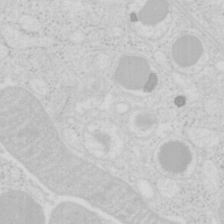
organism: Mouse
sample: Pancreas